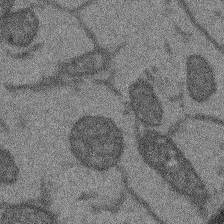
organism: Arabidopsis thaliana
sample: Root tip